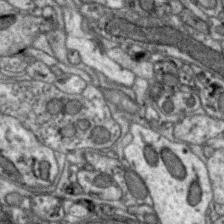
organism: Zebra finch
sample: Brain